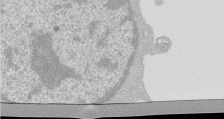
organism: Mouse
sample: Activated Pmel transgenic CD8+ T Cells